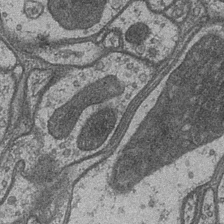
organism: Drosophila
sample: Optic medulla